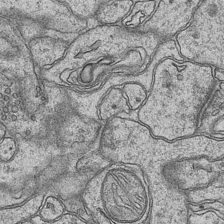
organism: Mouse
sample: CA1 Hippocampus